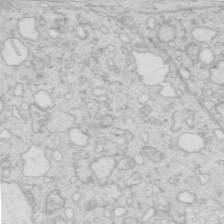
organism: Mouse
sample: Multiciliated cells